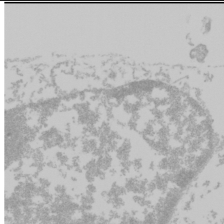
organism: Mouse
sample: Cancer cell death in ED-1 cells